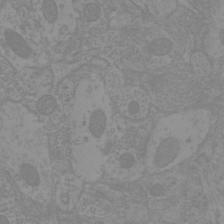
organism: Mouse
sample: Cortical neurons